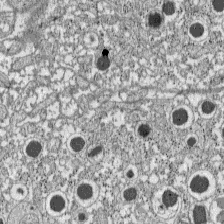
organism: C57BL Mouse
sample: Pancreatic islet